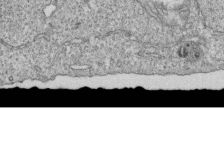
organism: Human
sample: HeLa cell HIV synapse